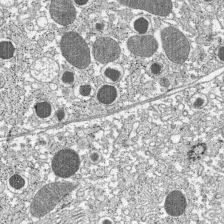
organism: C57BL Mouse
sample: Pancreatic islet